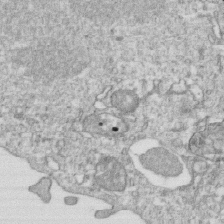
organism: Mouse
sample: Activated OT-1 CD8+ T cells